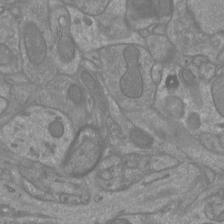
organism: Mouse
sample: Cortical neurons